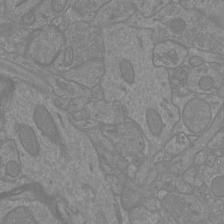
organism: Mouse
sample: Cortical neurons